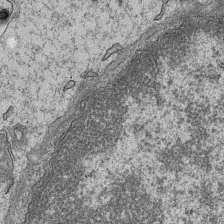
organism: Mouse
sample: CA1 Hippocampus